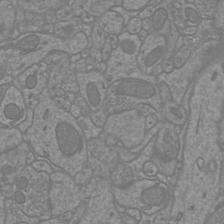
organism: Mouse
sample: Cortical neurons